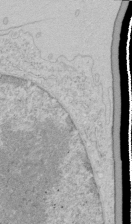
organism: Human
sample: Mitochondria in HCT116 cells